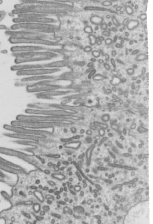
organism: Mouse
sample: Mouse epididymis efferent ductule cilia